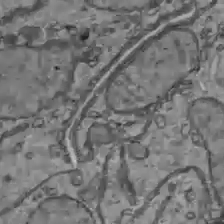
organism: C57BL Mouse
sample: Liver